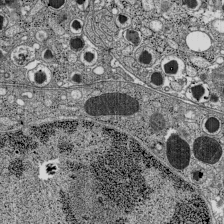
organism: C57BL Mouse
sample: Pancreatic islet